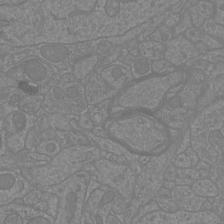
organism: Mouse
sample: Cortical neurons